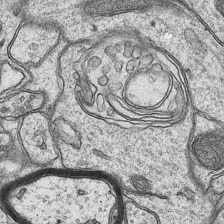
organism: Mouse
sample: CA1 Hippocampus